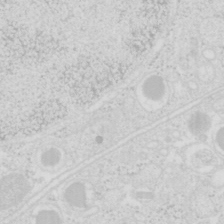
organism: Mouse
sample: Pancreas